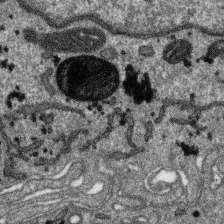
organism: Human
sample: Lung epithelial cells infected with SARS-CoV-2